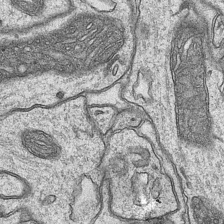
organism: Mouse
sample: CA1 Hippocampus